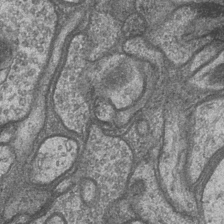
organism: Drosophila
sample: Optic medulla